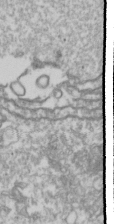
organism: Drosophila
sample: Cell division; meiosis; drosophila spermatocytes